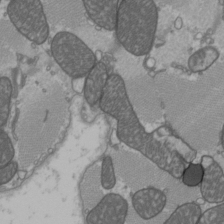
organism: C57BL Mouse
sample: Heart